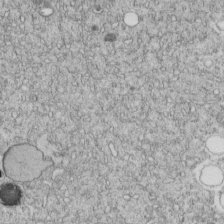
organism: C. elegans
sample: C. elegans embryo early stage